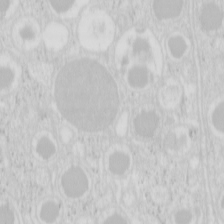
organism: Mouse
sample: Pancreas